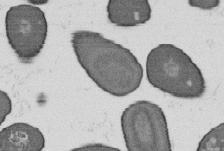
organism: B. subtilis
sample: Bacterial spore